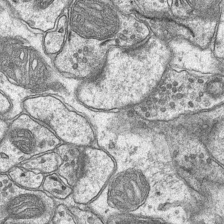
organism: Mouse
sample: CA1 Hippocampus